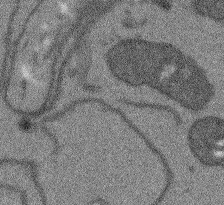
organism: Arabidopsis thaliana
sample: Root tip